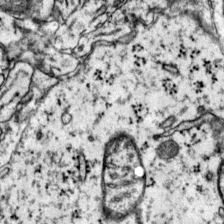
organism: Mouse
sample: Primary visual cortex